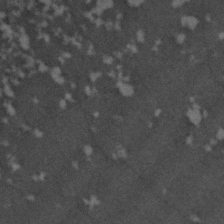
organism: C. elegans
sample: C. elegans embryo